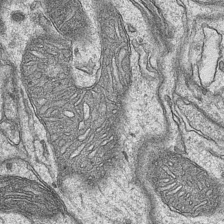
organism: Mouse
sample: CA1 Hippocampus